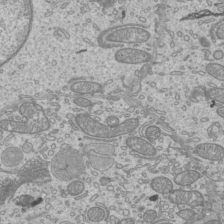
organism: Mouse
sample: Cilia; mouse epididymis